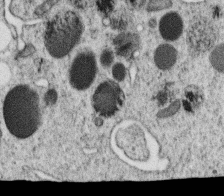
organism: C. elegans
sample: C. elegans oocyte; sperm cells